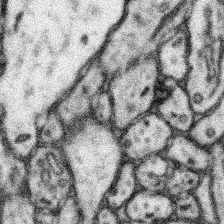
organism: Mouse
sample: Somatosensory cortex neuropil